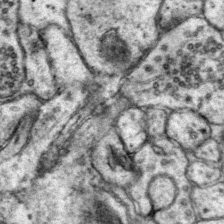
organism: Mouse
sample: Primary visual cortex